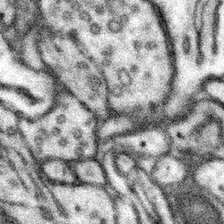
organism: Mouse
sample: Somatosensory cortex neuropil